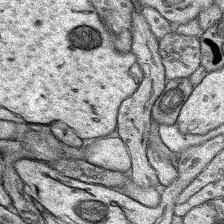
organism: Rat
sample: Hippocampus